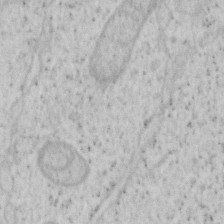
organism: Human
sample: HeLa cells